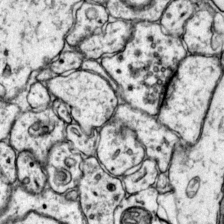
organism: Mouse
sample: Primary visual cortex